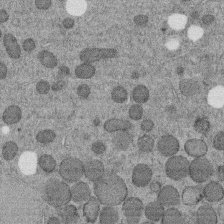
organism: C. elegans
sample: C. elegans embryo early stage